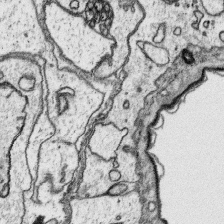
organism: Platynereis dumerilii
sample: Parapodia